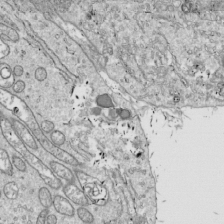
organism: Drosophila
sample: Cell division; meiosis; drosophila spermatocytes